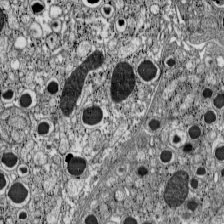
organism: C57BL Mouse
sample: Pancreatic islet